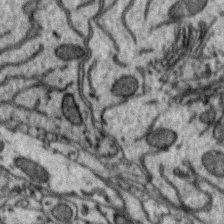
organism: Zebra finch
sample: Brain